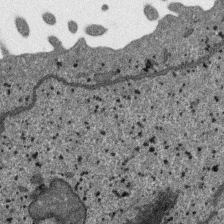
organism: Human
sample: Lung epithelial cells infected with SARS-CoV-2